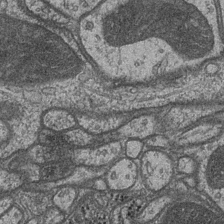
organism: Drosophila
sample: Optic medulla